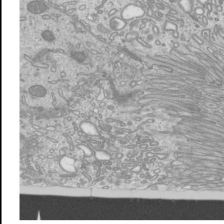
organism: Mouse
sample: Cilia; mouse epididymis